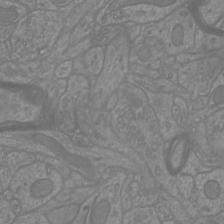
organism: Mouse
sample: Cortical neurons